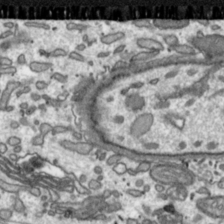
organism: Toxoplasma gondii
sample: Parasites in a vacuole inside a host cell